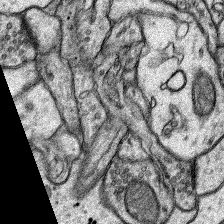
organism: Rat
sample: Hippocampus